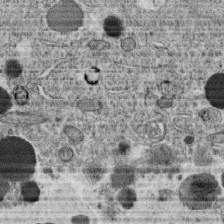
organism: C. elegans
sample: C. elegans oocyte; sperm cells